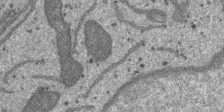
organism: Human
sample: Lung epithelial cells infected with SARS-CoV-2